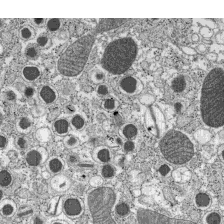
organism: C57BL Mouse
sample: Pancreatic islet